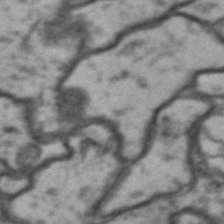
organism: Drosophila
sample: Brain